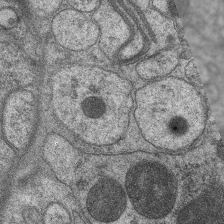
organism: C. elegans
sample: Pharynx